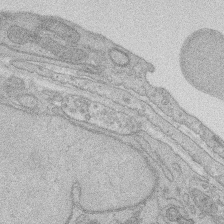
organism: Rat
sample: Salivary granule